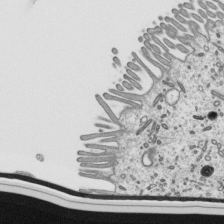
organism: Mouse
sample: Mouse epididymis efferent ductule cilia